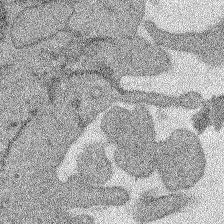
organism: Human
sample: HeLa cells